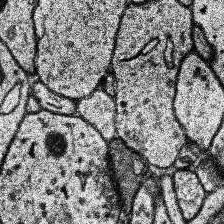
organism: Human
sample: Temporal Lobe